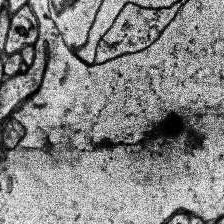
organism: Human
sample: Temporal Lobe